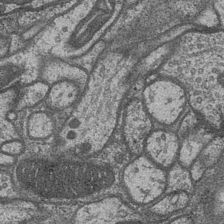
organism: Drosophila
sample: Optic medulla